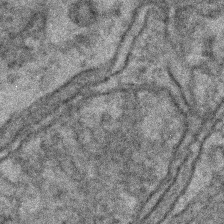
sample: Kidney